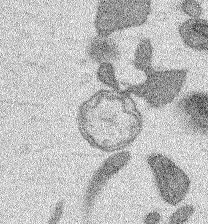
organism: Human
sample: HeLa cells